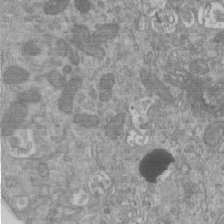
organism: Mouse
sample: ED-1 cell nuclei; centrioles